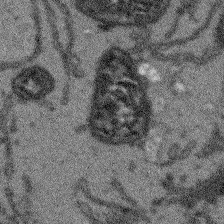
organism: Arabidopsis thaliana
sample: Root tip